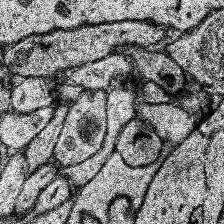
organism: Human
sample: Temporal Lobe